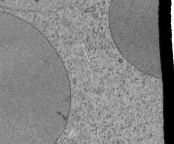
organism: Tetrahymena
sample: Cilia in tetrahymena